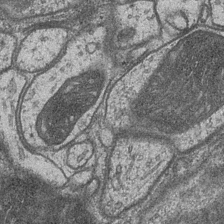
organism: Drosophila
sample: Optic medulla